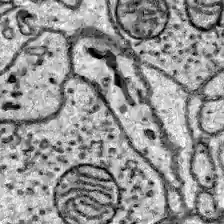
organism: Zebrafish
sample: Brain